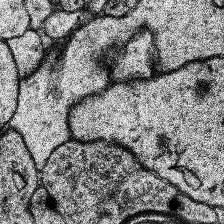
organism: Human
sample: Temporal Lobe